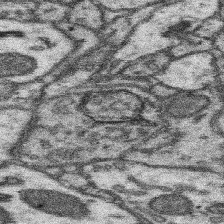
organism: Mouse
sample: Somatosensory cortex neuropil